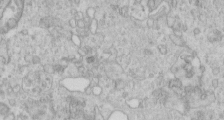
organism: Human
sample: Centriole in RPE cells